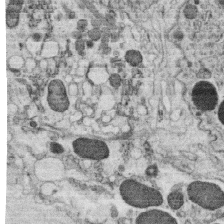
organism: C. elegans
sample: C. elegans oocyte; sperm cells